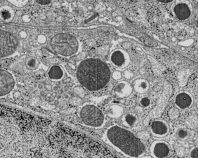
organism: C57BL Mouse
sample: Pancreatic islet